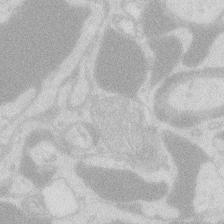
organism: Zebrafish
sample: Macrophage